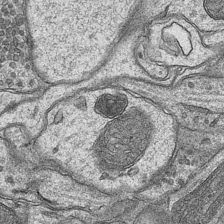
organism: Mouse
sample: CA1 Hippocampus